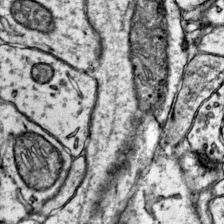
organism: Mouse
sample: Primary visual cortex